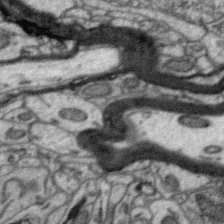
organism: Zebra finch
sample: Brain